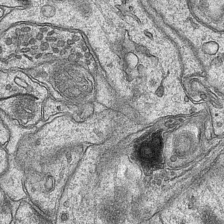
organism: Mouse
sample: CA1 Hippocampus